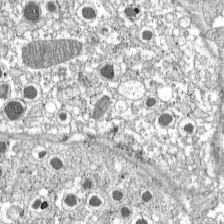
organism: C57BL Mouse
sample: Pancreatic islet